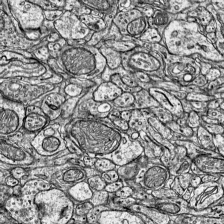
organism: Mouse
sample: Visual Cortex